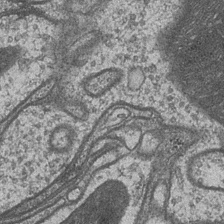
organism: Drosophila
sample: Optic medulla